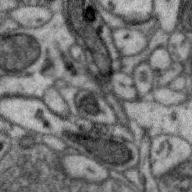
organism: Zebra finch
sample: Brain